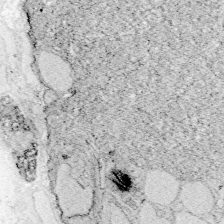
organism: Zebrafish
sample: Whole-Brain